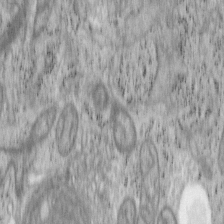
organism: Human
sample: HeLa cells